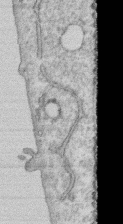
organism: Human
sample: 1205lu cells